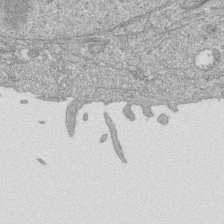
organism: Human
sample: HeLa cell HIV synapse